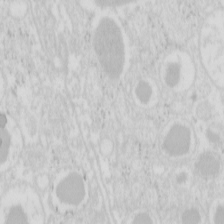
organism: Mouse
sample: Pancreas